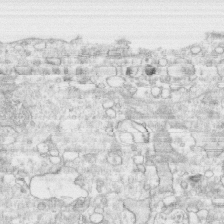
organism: Human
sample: CRL-1474